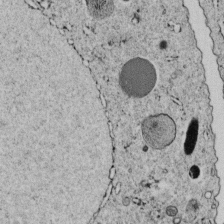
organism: C. elegans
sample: C. elegans embryo early stage